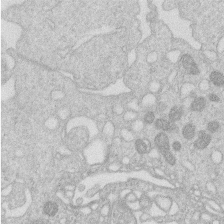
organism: Human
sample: Macrophage cells